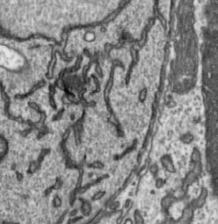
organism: Toxoplasma gondii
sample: Parasites in a vacuole inside a host cell